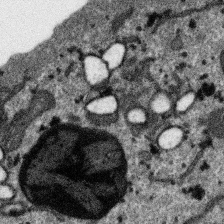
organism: Human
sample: Lung epithelial cells infected with SARS-CoV-2